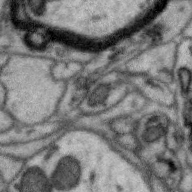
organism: Zebra finch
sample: Brain